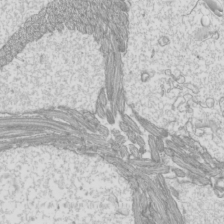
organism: Mouse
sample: Cilia; mouse epididymis